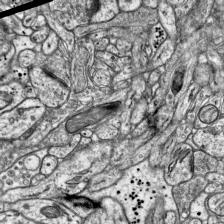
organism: Mouse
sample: Visual Cortex